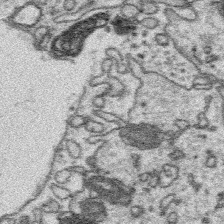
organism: Platynereis dumerilii